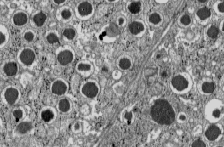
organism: C57BL Mouse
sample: Pancreatic islet